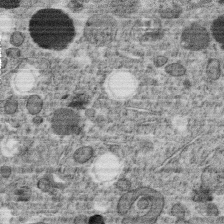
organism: C. elegans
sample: C. elegans oocyte; sperm cells